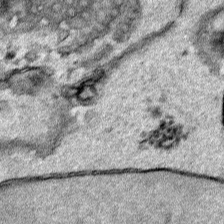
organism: Human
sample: Mitochondria in HCT116 cells